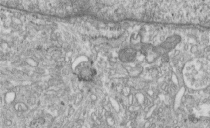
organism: Human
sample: Centriole in fibroblast cells